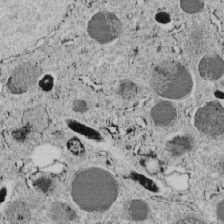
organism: C. elegans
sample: C. elegans embryo early stage